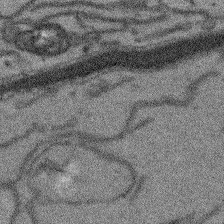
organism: Arabidopsis thaliana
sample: Root tip